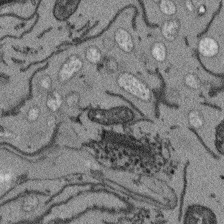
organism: Arabidopsis thaliana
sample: Root tip